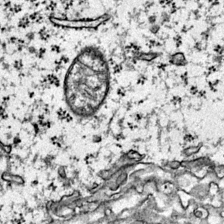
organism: Mouse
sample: Primary visual cortex